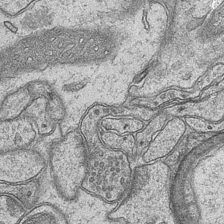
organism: Mouse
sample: CA1 Hippocampus